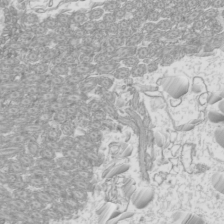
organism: Mouse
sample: Cilia; mouse epididymis